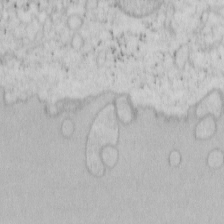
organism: Human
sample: HeLa cells